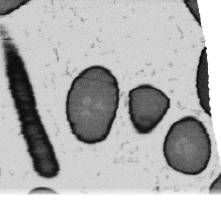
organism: B. subtilis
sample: Bacterial spore